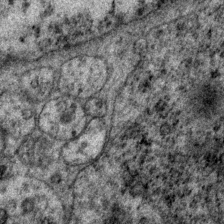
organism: P. pacificus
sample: Pharynx